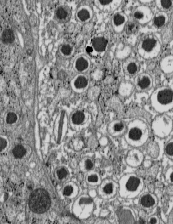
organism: C57BL Mouse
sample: Pancreatic islet